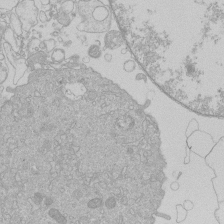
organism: Human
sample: Macrophage cells